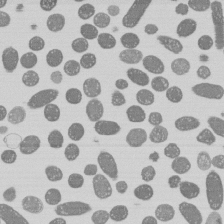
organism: E. coli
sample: Bacterial nucleoid